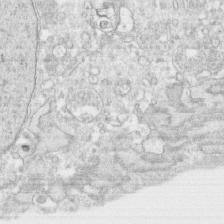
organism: Human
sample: CRL-1474